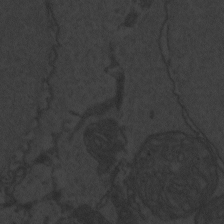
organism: Zebrafish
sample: Macrophage infected with Toxoplasma gondii